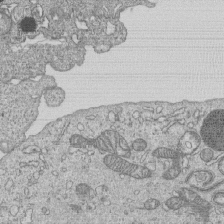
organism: Human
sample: MDA-MB-231 cells